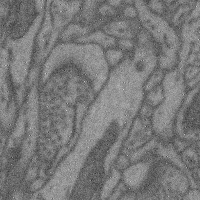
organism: Mouse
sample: Cerebral cortex